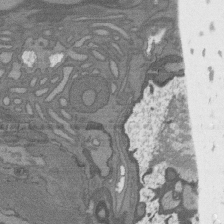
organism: C. elegans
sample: AFD neurons C. elegans